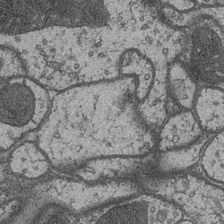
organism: Drosophila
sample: Optic medulla